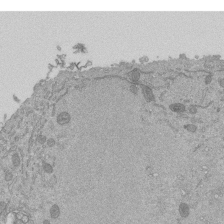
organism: Mouse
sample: ED-1 cell nuclei; centrioles